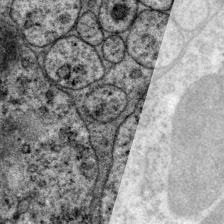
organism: P. pacificus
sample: Pharynx